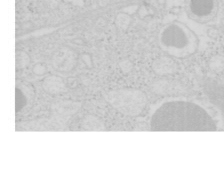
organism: Mouse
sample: Pancreas